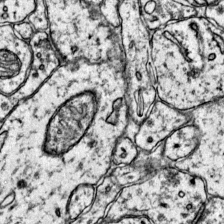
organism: Mouse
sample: Primary visual cortex